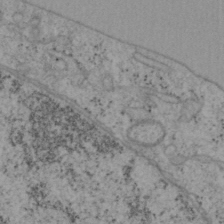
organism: Human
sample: HeLa cells